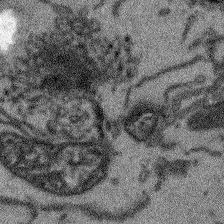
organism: Arabidopsis thaliana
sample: Root tip